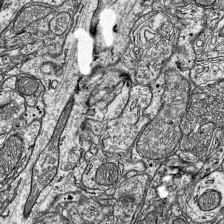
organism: Mouse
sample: Visual Cortex